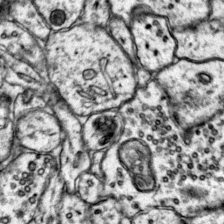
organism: Mouse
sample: Primary visual cortex